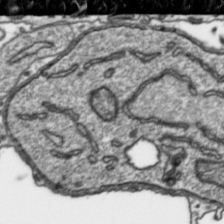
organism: Toxoplasma gondii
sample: Parasites in a vacuole inside a host cell